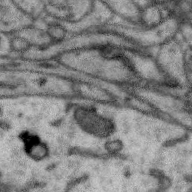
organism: Zebra finch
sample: Brain